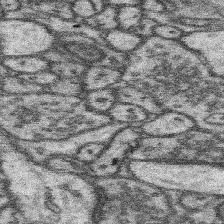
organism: Mouse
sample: Somatosensory cortex neuropil